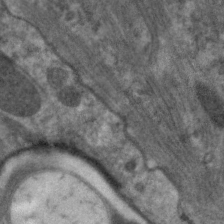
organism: C. elegans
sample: Pharynx